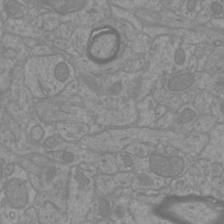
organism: Mouse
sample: Cortical neurons